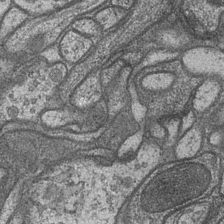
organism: Drosophila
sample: Optic medulla